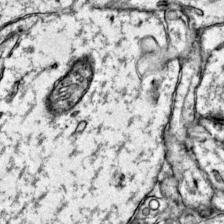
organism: Mouse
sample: Primary visual cortex